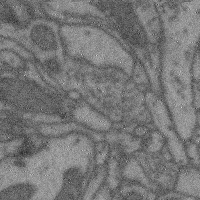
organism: Mouse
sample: Cerebral cortex